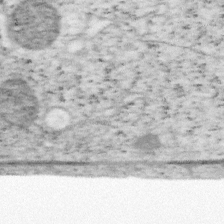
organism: Mouse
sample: OT-I killer T cells with ID8 ovarian cancer cells